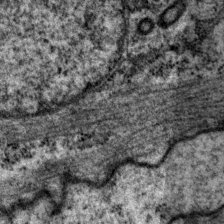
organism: P. pacificus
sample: Pharynx